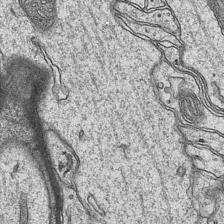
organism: Mouse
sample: CA1 Hippocampus